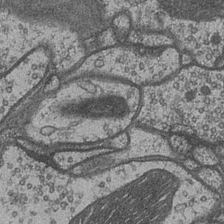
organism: Drosophila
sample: Optic medulla